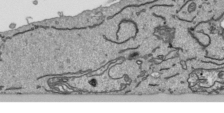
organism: Human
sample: Mitochondria in HCT116 cells